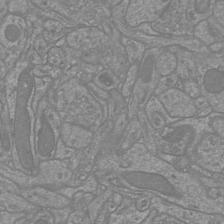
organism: Mouse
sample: Cortical neurons